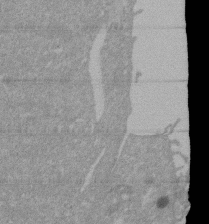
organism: Mouse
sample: ED-1 cell nuclei; centrioles